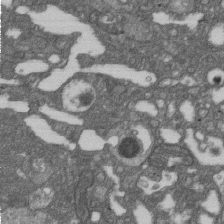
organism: Drosophila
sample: Nephrocyte